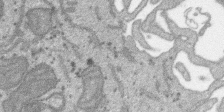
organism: Human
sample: Lung epithelial cells infected with SARS-CoV-2